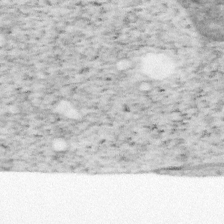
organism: Mouse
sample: OT-I killer T cells with ID8 ovarian cancer cells